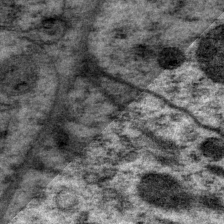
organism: P. pacificus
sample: Pharynx